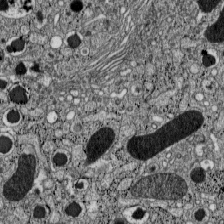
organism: C57BL Mouse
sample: Pancreatic islet